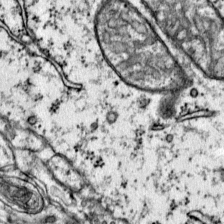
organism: Mouse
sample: Primary visual cortex